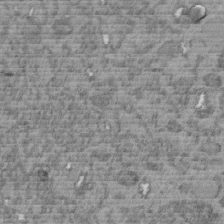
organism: C. elegans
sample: C. elegans embryo early stage